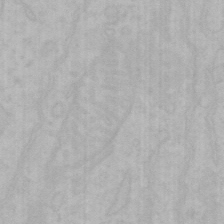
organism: Mouse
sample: Choroid plexus